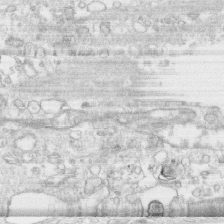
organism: Human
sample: CRL-1474